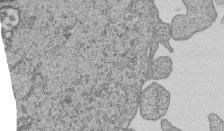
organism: Human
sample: MDA-MB-231 cells